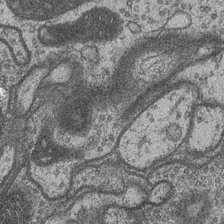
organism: Drosophila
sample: Optic medulla